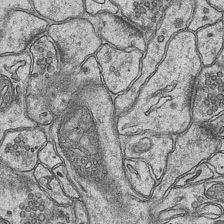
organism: Mouse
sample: CA1 Hippocampus